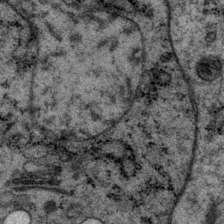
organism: P. pacificus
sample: Pharynx